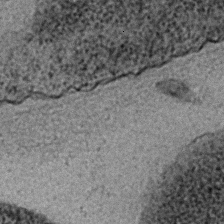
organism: C. elegans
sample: C. elegans embryo